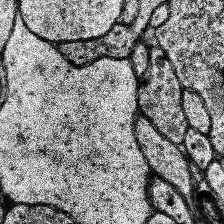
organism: Human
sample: Temporal Lobe